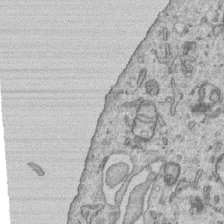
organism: Human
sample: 1205lu cells